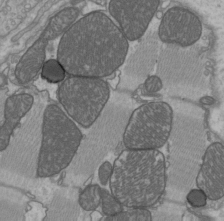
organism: C57BL Mouse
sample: Heart